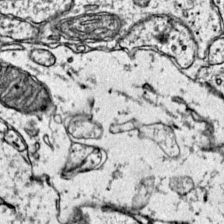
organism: Mouse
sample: Primary visual cortex